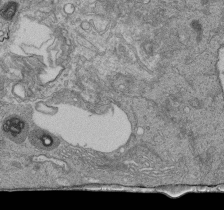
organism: Human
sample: Retinal organoid Rod and Cone cells